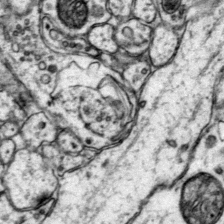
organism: Mouse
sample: Primary visual cortex